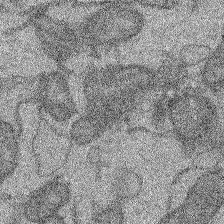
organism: Human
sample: HeLa cells